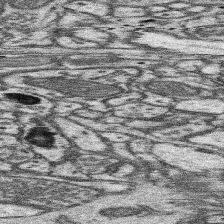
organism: Mouse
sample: Somatosensory cortex neuropil